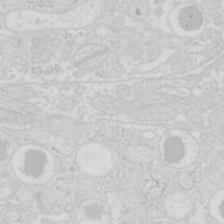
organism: Mouse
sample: Pancreas